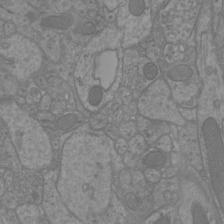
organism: Mouse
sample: Cortical neurons